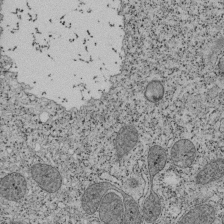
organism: Tetrahymena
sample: Cilia in tetrahymena